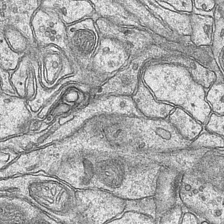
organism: Mouse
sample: CA1 Hippocampus